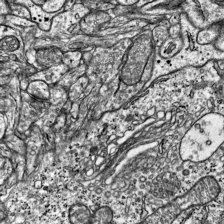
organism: Mouse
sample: Visual Cortex